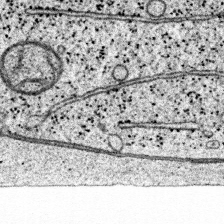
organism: Human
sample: HeLa cells